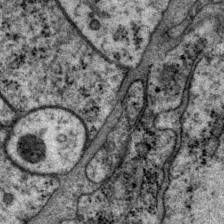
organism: P. pacificus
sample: Pharynx